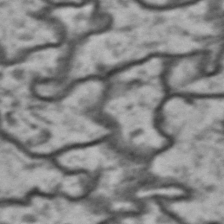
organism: Drosophila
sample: Brain